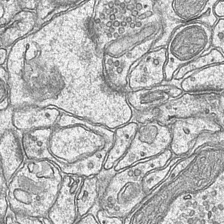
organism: Mouse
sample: CA1 Hippocampus